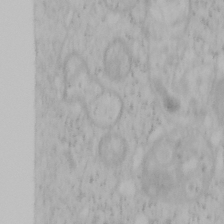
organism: Mouse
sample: OT-I killer T cells with ID8 ovarian cancer cells